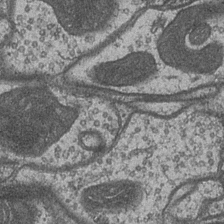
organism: Drosophila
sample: Optic medulla